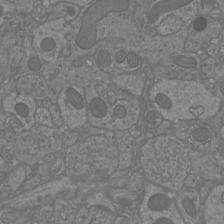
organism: Mouse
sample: Cortical neurons